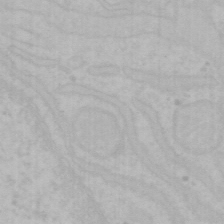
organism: Mouse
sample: Choroid plexus